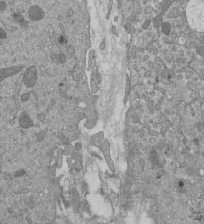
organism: Mouse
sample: ED-1 cell nuclei; centrioles